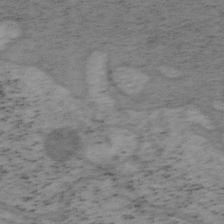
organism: Mouse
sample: OT-I killer T cells with ID8 ovarian cancer cells